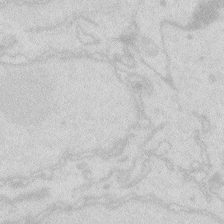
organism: Zebrafish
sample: Macrophage